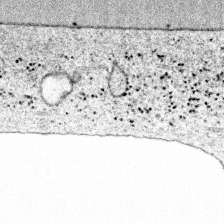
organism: Human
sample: HeLa cells